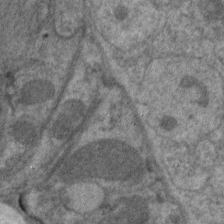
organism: C. elegans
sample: Pharynx